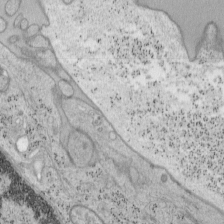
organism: Mouse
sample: OT-I killer T cells with ID8 ovarian cancer cells